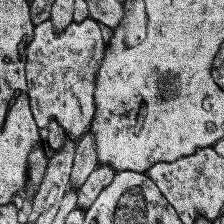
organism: Human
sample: Temporal Lobe